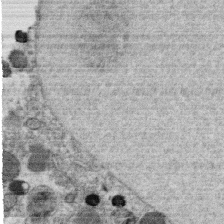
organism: C. elegans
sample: C. elegans oocyte; sperm cells